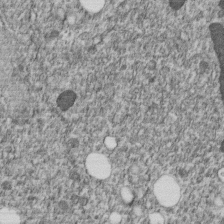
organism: C. elegans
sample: C. elegans embryo early stage